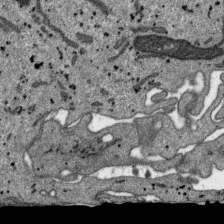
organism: Human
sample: Lung epithelial cells, uninfected (mock) control